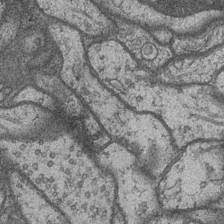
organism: Drosophila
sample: Optic medulla